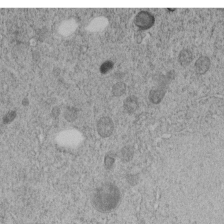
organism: C. elegans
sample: C. elegans embryo early stage